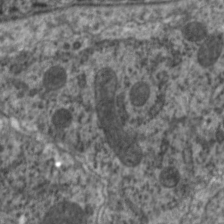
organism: C. elegans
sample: Pharynx